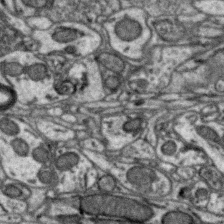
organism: Zebra finch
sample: Brain